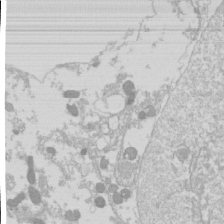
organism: Drosophila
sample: Cell division; meiosis; drosophila spermatocytes